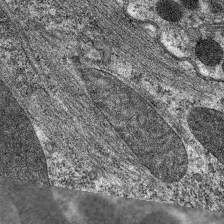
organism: C. elegans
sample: Pharynx